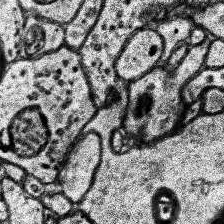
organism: Human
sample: Temporal Lobe